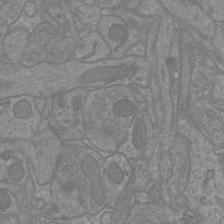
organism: Mouse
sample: Cortical neurons